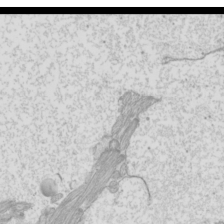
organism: Mouse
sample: Cilia; mouse epididymis